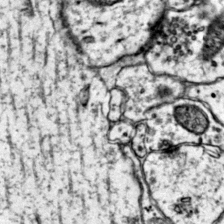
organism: Mouse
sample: Primary visual cortex